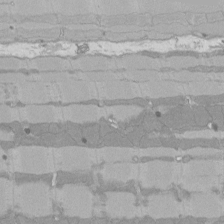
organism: Rat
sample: Left ventricle